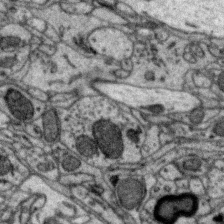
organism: Zebra finch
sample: Brain